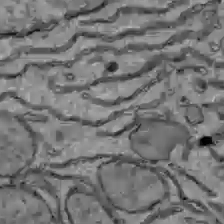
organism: C57BL Mouse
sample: Liver